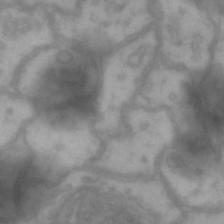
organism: Drosophila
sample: Brain